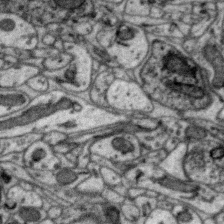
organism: Zebra finch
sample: Brain